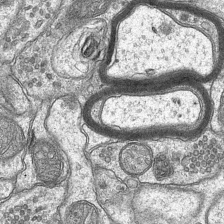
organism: Mouse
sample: CA1 Hippocampus